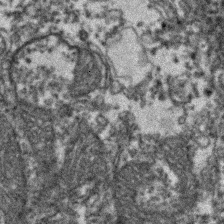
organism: Zebrafish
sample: Zebrafish embryo